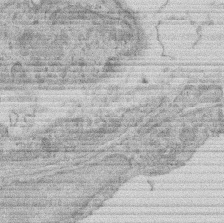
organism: Rat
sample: Salivary granule